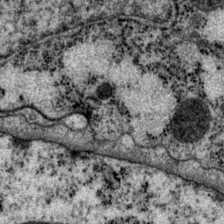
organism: P. pacificus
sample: Pharynx